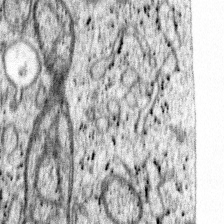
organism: Human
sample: HeLa cells